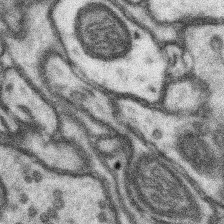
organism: Mouse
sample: Somatosensory cortex neuropil